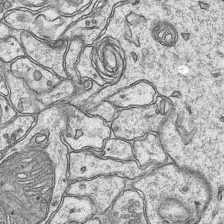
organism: Mouse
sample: CA1 Hippocampus